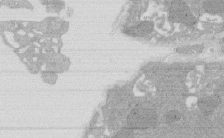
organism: Rat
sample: Salivary granule